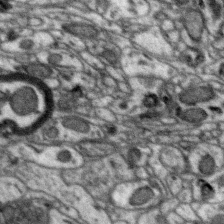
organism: Zebra finch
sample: Brain